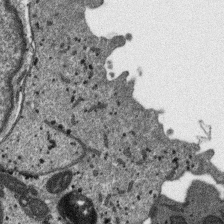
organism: Human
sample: Lung epithelial cells infected with SARS-CoV-2